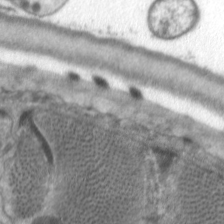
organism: C. elegans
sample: Pharynx